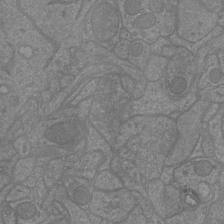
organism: Mouse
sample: Cortical neurons